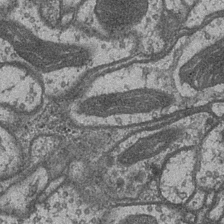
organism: Drosophila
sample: Optic medulla